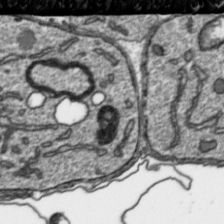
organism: Toxoplasma gondii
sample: Parasites in a vacuole inside a host cell